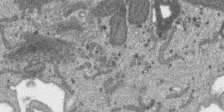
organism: Human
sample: Lung epithelial cells infected with SARS-CoV-2